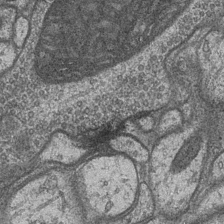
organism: Drosophila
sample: Optic medulla